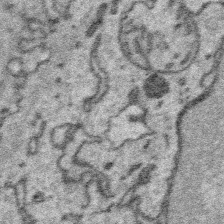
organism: Platynereis dumerilii